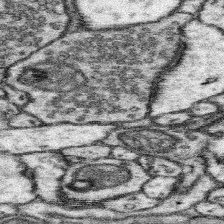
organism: Mouse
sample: Somatosensory cortex neuropil